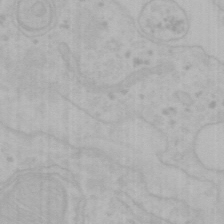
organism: Mouse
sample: Choroid plexus